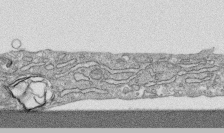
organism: Human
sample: CRL-1474